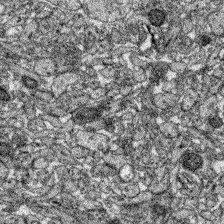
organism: Zebrafish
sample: Larval olfactory bulb